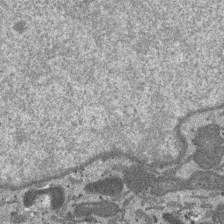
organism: Human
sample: Lung epithelial cells infected with SARS-CoV-2